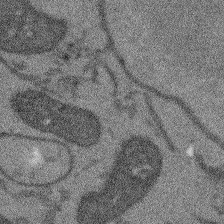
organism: Arabidopsis thaliana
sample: Root tip